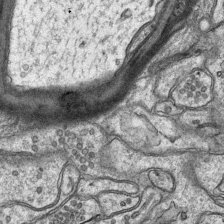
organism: Mouse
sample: CA1 Hippocampus